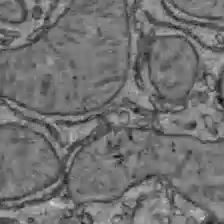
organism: C57BL Mouse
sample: Liver